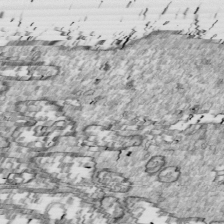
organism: Drosophila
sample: Cell division; meiosis; drosophila spermatocytes